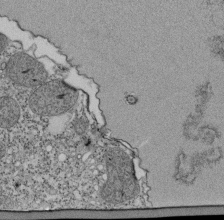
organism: Tetrahymena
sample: Cilia in tetrahymena